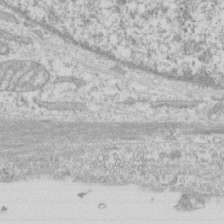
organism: Human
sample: CRL-1474